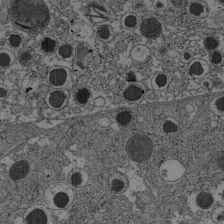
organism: C57BL Mouse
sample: Pancreatic islet